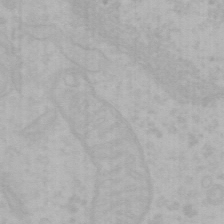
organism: Mouse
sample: Choroid plexus